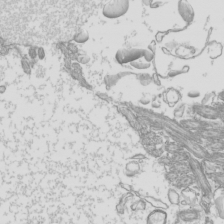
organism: Mouse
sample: Cilia; mouse epididymis